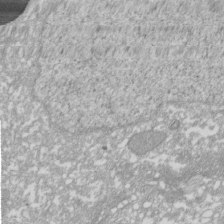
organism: Xenopus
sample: Cilia; centrioles in frog embryo cells